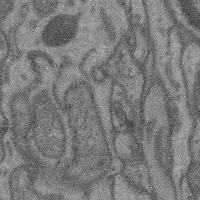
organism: Mouse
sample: Cerebral cortex